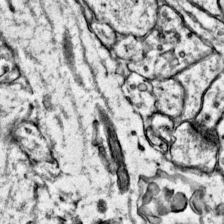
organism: Mouse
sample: Primary visual cortex